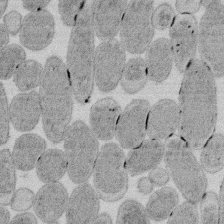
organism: E. coli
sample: Bacterial nucleoid